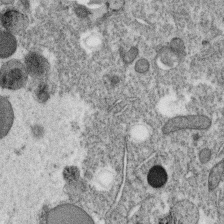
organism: C. elegans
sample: C. elegans oocyte; sperm cells